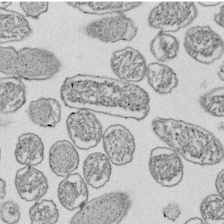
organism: E. coli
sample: Bacterial nucleoid